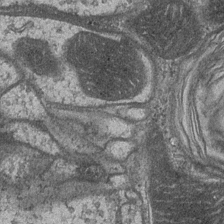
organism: Drosophila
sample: Optic medulla